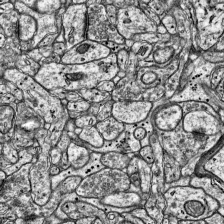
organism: Mouse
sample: Visual Cortex